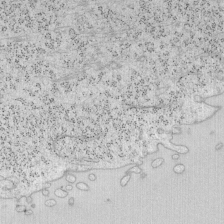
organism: Mouse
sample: OT-I killer T cells with ID8 ovarian cancer cells